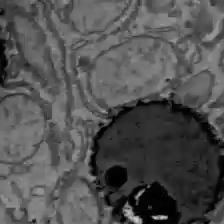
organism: C57BL Mouse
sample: Liver